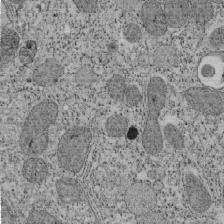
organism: Tetrahymena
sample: Cilia in tetrahymena